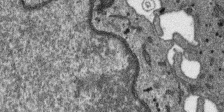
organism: Human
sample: Lung epithelial cells infected with SARS-CoV-2